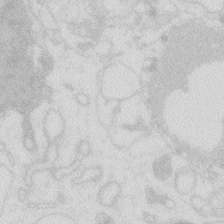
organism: Zebrafish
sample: Macrophage